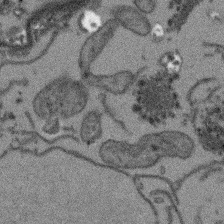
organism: Arabidopsis thaliana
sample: Root tip